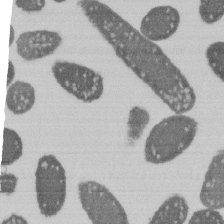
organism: E. coli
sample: Bacterial nucleoid